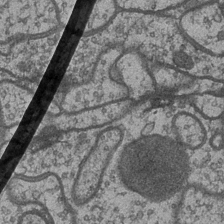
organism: Drosophila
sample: Optic medulla